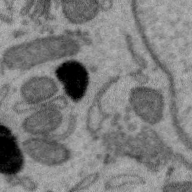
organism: Zebra finch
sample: Brain